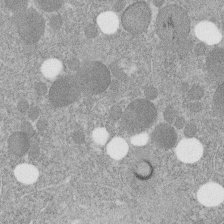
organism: C. elegans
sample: C. elegans embryo early stage